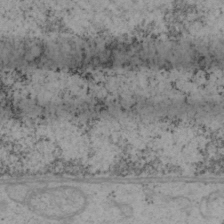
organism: Human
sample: HeLa cells